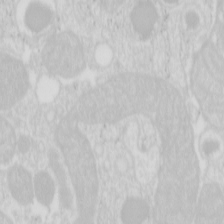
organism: Mouse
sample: Pancreas